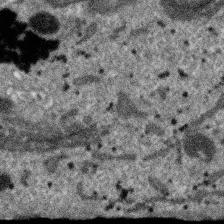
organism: Human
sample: Lung epithelial cells infected with SARS-CoV-2